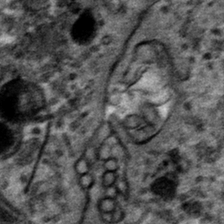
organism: Mouse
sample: Mouse hepatocytes